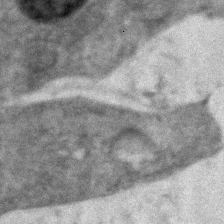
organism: Zebrafish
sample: Zebrafish embryo